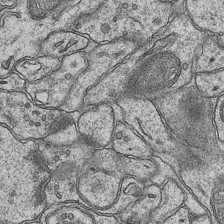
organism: Mouse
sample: CA1 Hippocampus